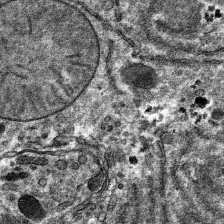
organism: Mouse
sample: Mouse hepatocytes